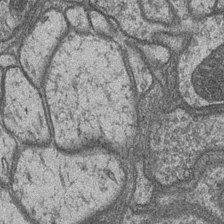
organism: Drosophila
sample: Optic medulla